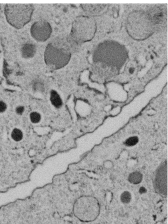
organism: C. elegans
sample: C. elegans embryo early stage